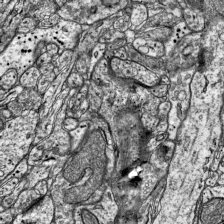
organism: Mouse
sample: Visual Cortex